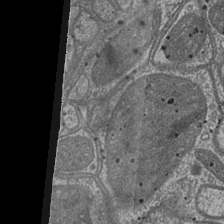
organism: Drosophila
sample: Optic medulla